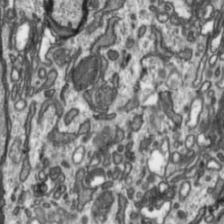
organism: Toxoplasma gondii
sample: Parasites in a vacuole inside a host cell